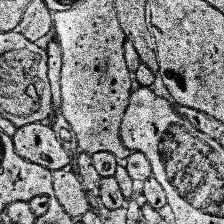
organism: Human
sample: Temporal Lobe